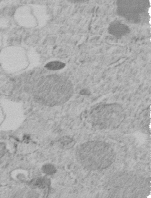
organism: C. elegans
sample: C. elegans embryo early stage